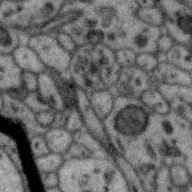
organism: Zebra finch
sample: Brain